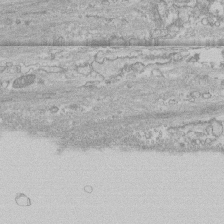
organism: Human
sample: CRL-1474